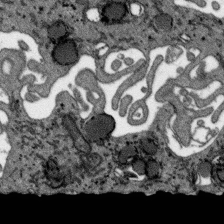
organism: Human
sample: Lung epithelial cells, uninfected (mock) control